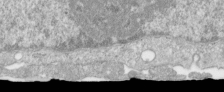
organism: Human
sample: Centriole in RPE cells